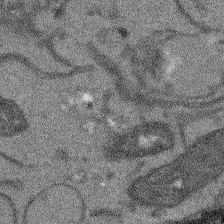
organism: Arabidopsis thaliana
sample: Root tip